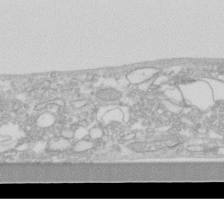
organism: Human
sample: Fibroblast cells